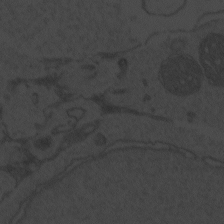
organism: Zebrafish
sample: Macrophage infected with Toxoplasma gondii